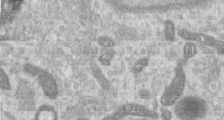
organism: Human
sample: Centriole in RPE cells